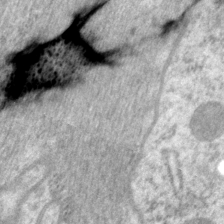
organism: P. pacificus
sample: Pharynx